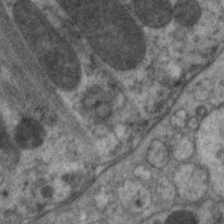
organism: C. elegans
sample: Pharynx